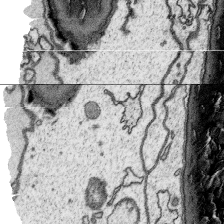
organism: Platynereis dumerilii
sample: Parapodia